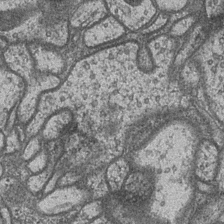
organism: Drosophila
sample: Optic medulla